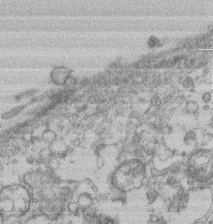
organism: Mouse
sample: T cell stromal cell synapse